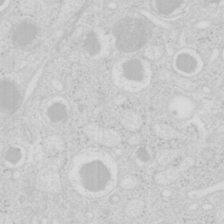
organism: Mouse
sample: Pancreas